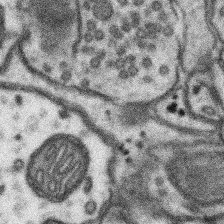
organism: Mouse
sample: Somatosensory cortex neuropil